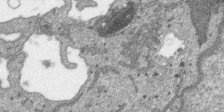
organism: Human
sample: Lung epithelial cells infected with SARS-CoV-2